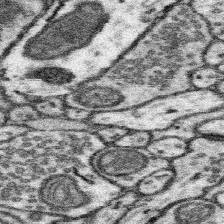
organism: Mouse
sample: Somatosensory cortex neuropil